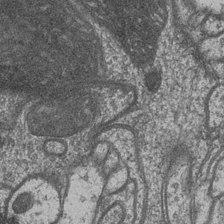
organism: Drosophila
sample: Optic medulla